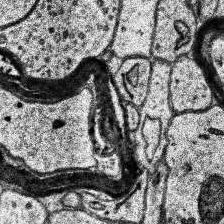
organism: Human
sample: Temporal Lobe